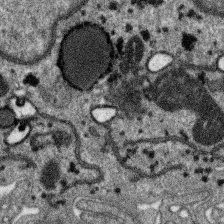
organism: Human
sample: Lung epithelial cells infected with SARS-CoV-2